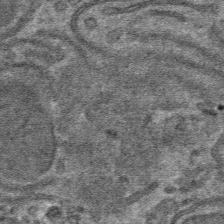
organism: Mouse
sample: Mouse hepatocytes